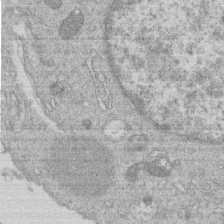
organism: Human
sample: Macrophage cells